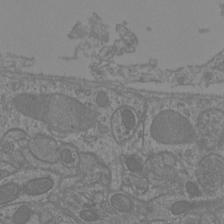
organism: Mouse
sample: Cortical neurons